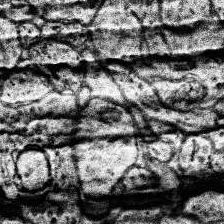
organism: Human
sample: Temporal Lobe